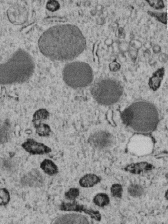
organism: C. elegans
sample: C. elegans embryo early stage